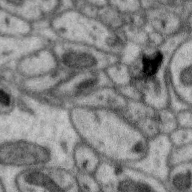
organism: Zebra finch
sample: Brain